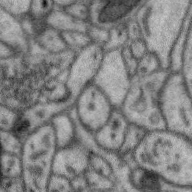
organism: Zebra finch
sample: Brain